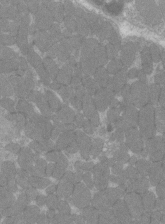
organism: C57BL Mouse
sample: Tibialis anterior muscle cell